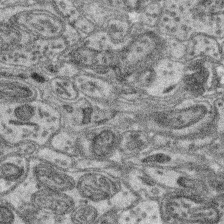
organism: Mouse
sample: Retina